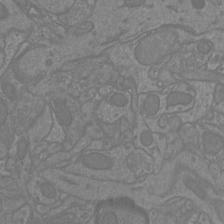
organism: Mouse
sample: Cortical neurons